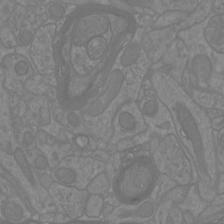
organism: Mouse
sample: Cortical neurons